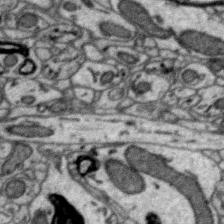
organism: Zebra finch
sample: Brain